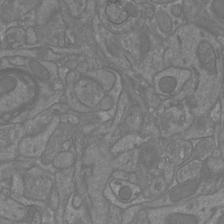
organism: Mouse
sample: Cortical neurons